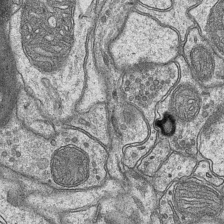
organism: Mouse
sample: CA1 Hippocampus